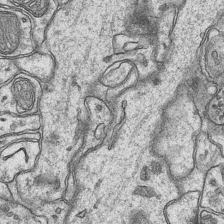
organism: Mouse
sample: CA1 Hippocampus